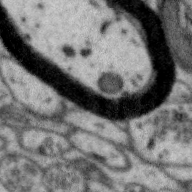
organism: Zebra finch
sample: Brain